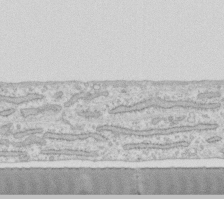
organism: Human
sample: Fibroblast cells